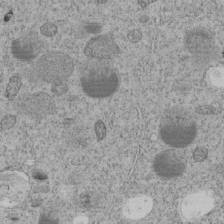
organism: C. elegans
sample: C. elegans embryo early stage